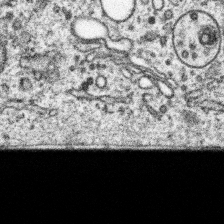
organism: Human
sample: HeLa cells